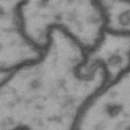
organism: Drosophila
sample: Brain